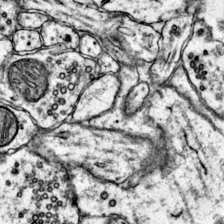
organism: Mouse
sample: Primary visual cortex